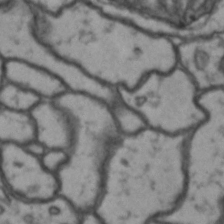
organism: Drosophila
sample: Brain